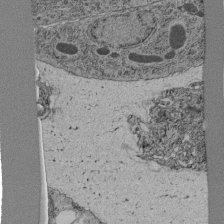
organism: C. elegans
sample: C. elegans pharynx